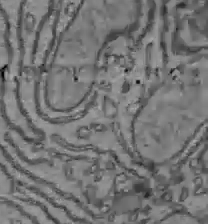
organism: C57BL Mouse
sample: Liver